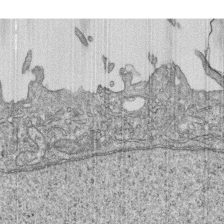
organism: Human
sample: HeLa cell HIV synapse